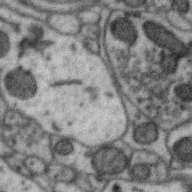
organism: Zebra finch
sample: Brain